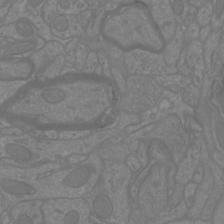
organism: Mouse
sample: Cortical neurons